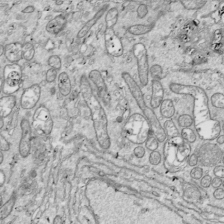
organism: Drosophila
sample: Cell division; meiosis; drosophila spermatocytes